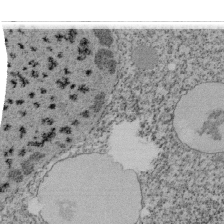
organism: Tetrahymena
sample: Cilia in tetrahymena